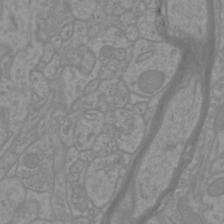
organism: Mouse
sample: Cortical neurons